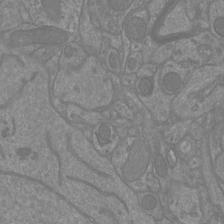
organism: Mouse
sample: Cortical neurons